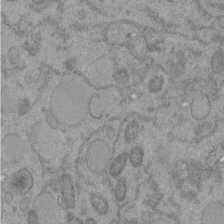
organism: C. elegans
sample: C. elegans embryo early stage